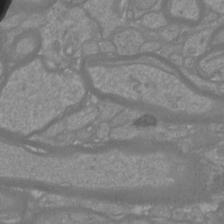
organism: Mouse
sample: Cortical neurons